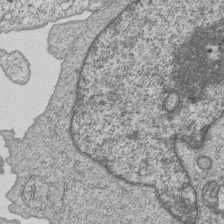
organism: Human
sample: MDA-MB-231 cells